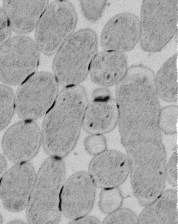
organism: E. coli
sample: Bacterial nucleoid